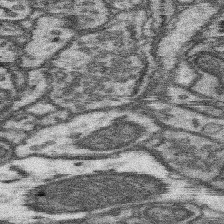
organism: Mouse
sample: Somatosensory cortex neuropil